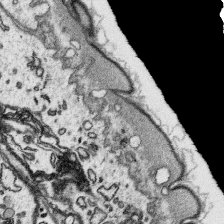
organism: Platynereis dumerilii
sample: Parapodia